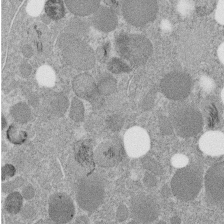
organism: C. elegans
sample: C. elegans embryo early stage